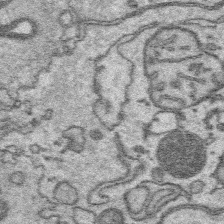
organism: Platynereis dumerilii